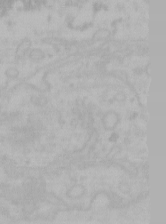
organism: Mouse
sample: Choroid plexus